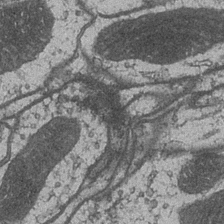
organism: Drosophila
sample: Optic medulla